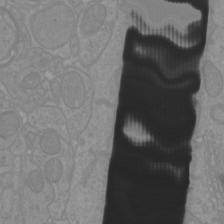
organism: Mouse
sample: Cortical neurons